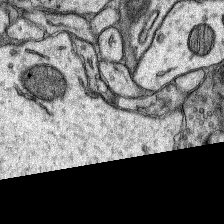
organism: Rat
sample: Hippocampus